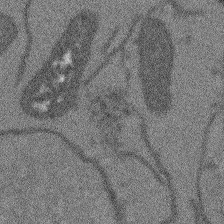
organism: Arabidopsis thaliana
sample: Root tip